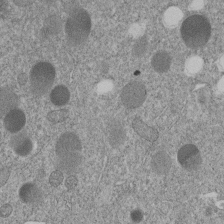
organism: C. elegans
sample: C. elegans embryo early stage